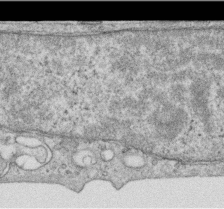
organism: Human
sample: Centriole in RPE cells